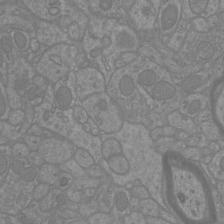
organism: Mouse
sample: Cortical neurons